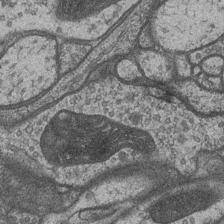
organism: Drosophila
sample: Optic medulla